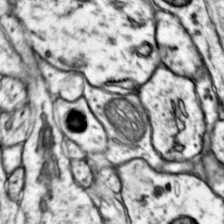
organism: Mouse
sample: Primary visual cortex